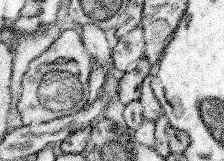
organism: Mouse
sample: Somatosensory cortex neuropil